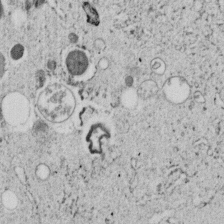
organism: C. elegans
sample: C. elegans embryo early stage